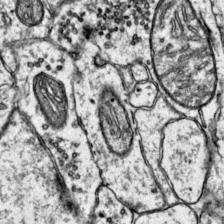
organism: Mouse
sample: Primary visual cortex